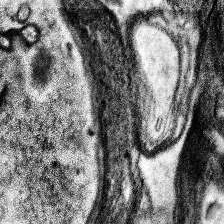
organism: Human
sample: Temporal Lobe